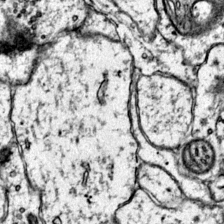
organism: Mouse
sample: Primary visual cortex